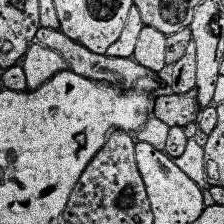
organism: Human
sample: Temporal Lobe